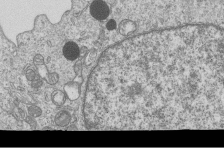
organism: Human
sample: MDA-MB-231 cells